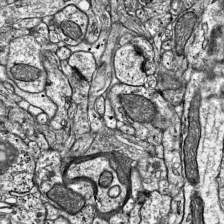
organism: Mouse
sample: Visual Cortex